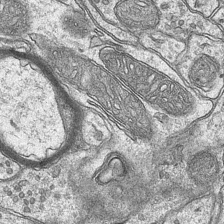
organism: Mouse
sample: CA1 Hippocampus